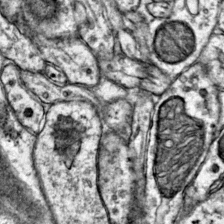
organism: Mouse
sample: Primary visual cortex